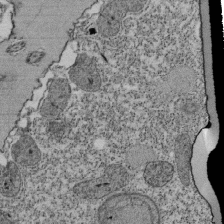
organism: Tetrahymena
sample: Cilia in tetrahymena